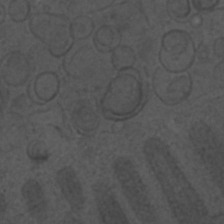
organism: C. elegans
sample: C. elegans embryo